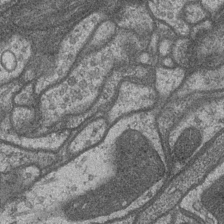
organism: Drosophila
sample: Optic medulla